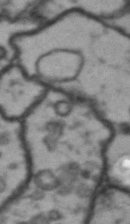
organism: Drosophila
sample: Brain